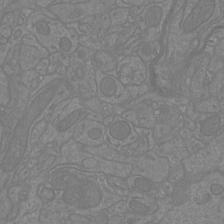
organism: Mouse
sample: Cortical neurons